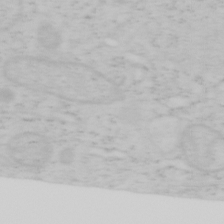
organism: Mouse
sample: OT-I killer T cells with ID8 ovarian cancer cells